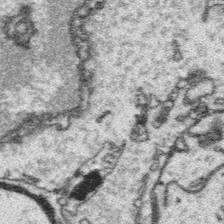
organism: Platynereis dumerilii